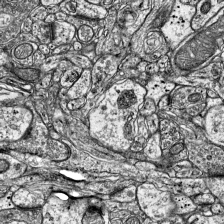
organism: Mouse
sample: Visual Cortex